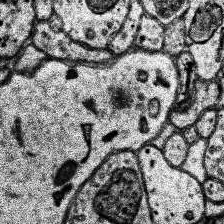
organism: Human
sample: Temporal Lobe